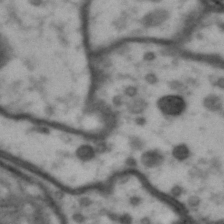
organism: Drosophila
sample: Brain